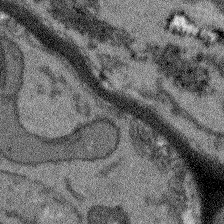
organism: Arabidopsis thaliana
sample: Root tip